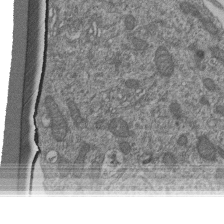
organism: Human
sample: Retinal organoid Rod and Cone cells